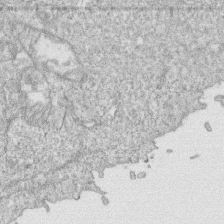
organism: Human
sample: HeLa cell HIV synapse